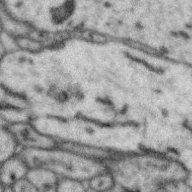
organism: Zebra finch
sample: Brain